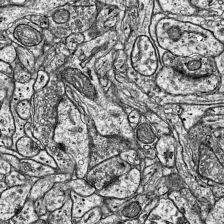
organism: Mouse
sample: Visual Cortex